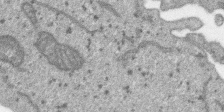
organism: Human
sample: Lung epithelial cells infected with SARS-CoV-2